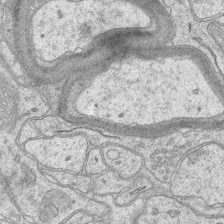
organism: Mouse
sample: CA1 Hippocampus